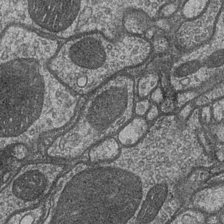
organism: Drosophila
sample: Optic medulla